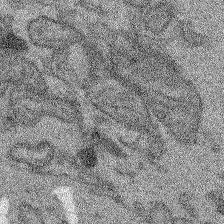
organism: Human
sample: HeLa cells